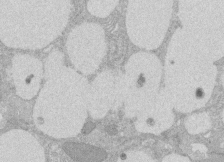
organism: Rat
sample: Salivary granule